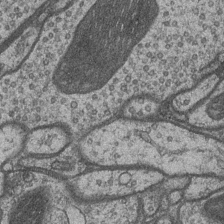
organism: Drosophila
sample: Optic medulla